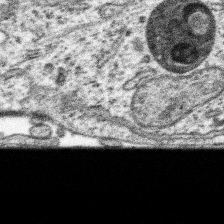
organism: Human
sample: HeLa cells